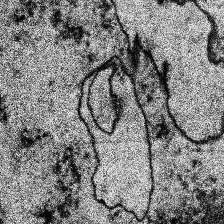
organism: Human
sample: Temporal Lobe